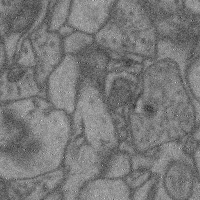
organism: Mouse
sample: Cerebral cortex